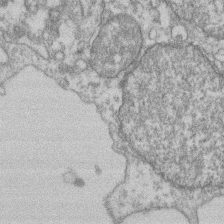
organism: Mouse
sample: T cell stromal cell synapse